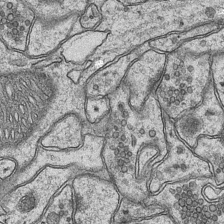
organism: Mouse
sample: CA1 Hippocampus